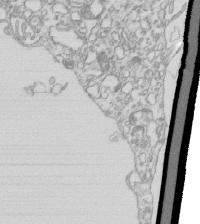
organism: Mouse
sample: Macrophages